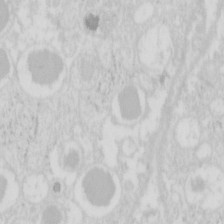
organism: Mouse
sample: Pancreas